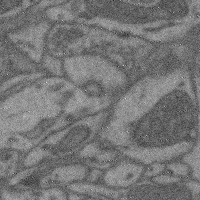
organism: Mouse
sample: Cerebral cortex